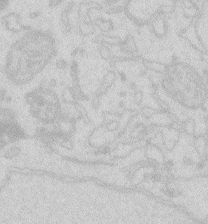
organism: Zebrafish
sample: Macrophage